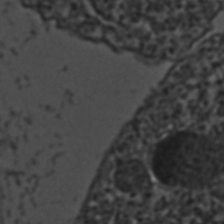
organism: C. elegans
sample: C. elegans embryo